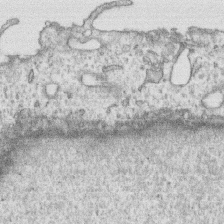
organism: Human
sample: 1205lu cells